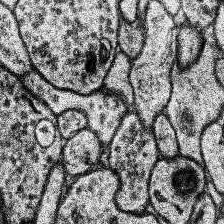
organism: Human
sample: Temporal Lobe